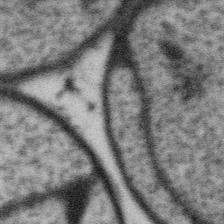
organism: Gemmata obscuriglobus